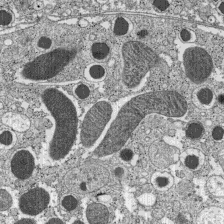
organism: C57BL Mouse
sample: Pancreatic islet